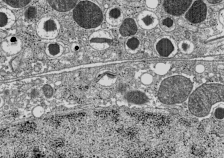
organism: C57BL Mouse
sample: Pancreatic islet